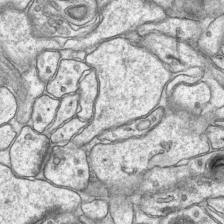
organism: Mouse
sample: CA1 Hippocampus